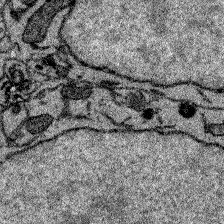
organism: Zebrafish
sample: Larval olfactory bulb